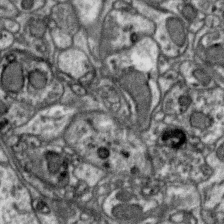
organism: Zebra finch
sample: Brain